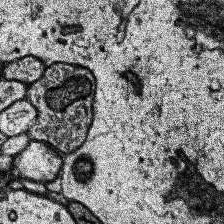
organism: Human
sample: Temporal Lobe